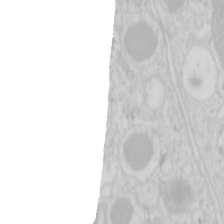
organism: Mouse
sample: Pancreas